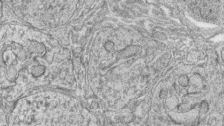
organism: Zebrafish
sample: synaptic ribbons in rod cells and cone cells